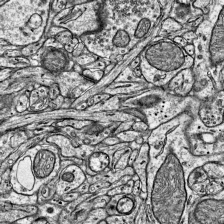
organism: Mouse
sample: Visual Cortex